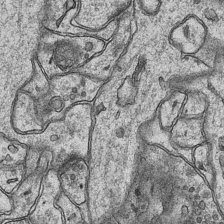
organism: Mouse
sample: CA1 Hippocampus